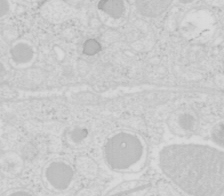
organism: Mouse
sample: Pancreas